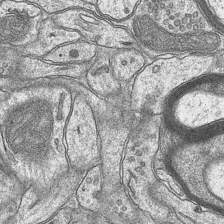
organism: Mouse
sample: CA1 Hippocampus